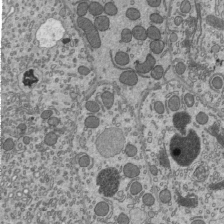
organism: Mouse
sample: Mouse epididymis efferent ductule cilia